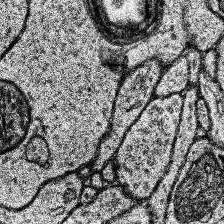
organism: Human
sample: Temporal Lobe